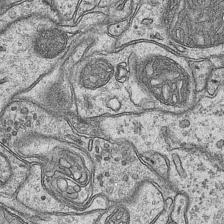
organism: Mouse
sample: CA1 Hippocampus